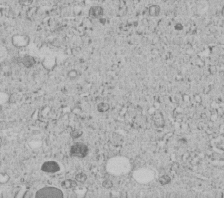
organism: C. elegans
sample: C. elegans embryo early stage